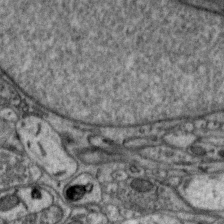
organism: Zebra finch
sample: Brain